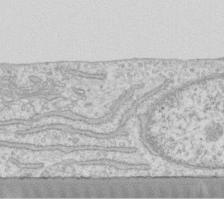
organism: Human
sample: Fibroblast cells